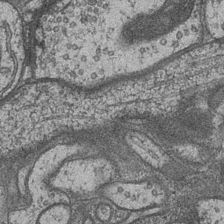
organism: Drosophila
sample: Optic medulla